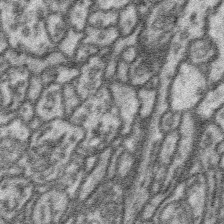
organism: Platynereis dumerilii